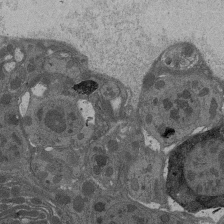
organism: Drosophila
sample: Antenna